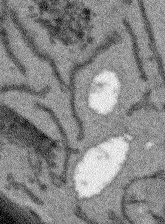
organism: Arabidopsis thaliana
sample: Root tip